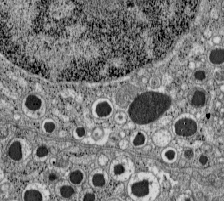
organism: C57BL Mouse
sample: Pancreatic islet